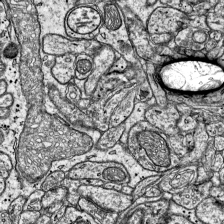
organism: Mouse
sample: Visual Cortex